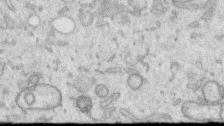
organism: Human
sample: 1205lu cells